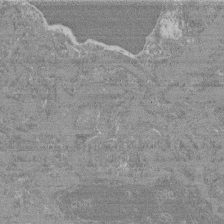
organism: Mouse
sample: Glomerulus